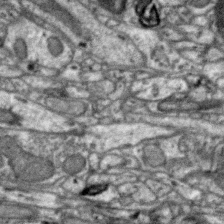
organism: Zebra finch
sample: Brain